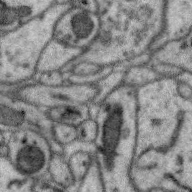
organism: Zebra finch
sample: Brain